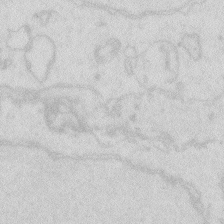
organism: Zebrafish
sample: Macrophage